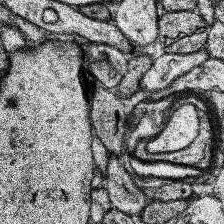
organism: Human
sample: Temporal Lobe